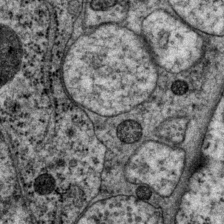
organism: P. pacificus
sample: Pharynx